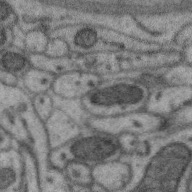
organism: Zebra finch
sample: Brain